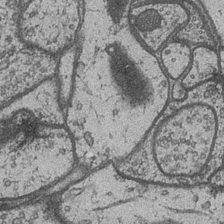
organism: Drosophila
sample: Optic medulla